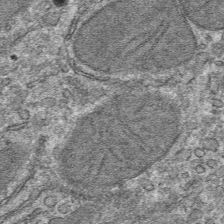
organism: Mouse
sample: Mouse hepatocytes